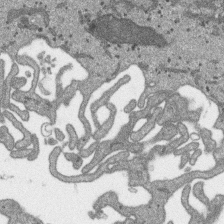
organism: Human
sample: Lung epithelial cells infected with SARS-CoV-2